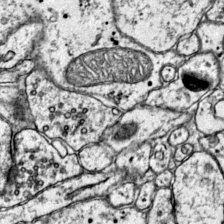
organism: Mouse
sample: Primary visual cortex